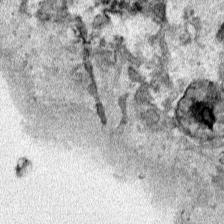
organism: Human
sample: Mitochondria in HCT116 cells